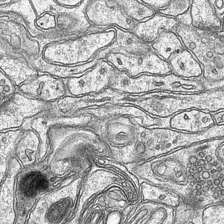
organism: Mouse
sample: CA1 Hippocampus